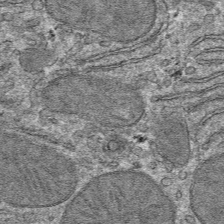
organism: Mouse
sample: Mouse hepatocytes